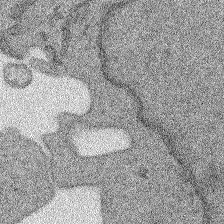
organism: Human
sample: HeLa cells